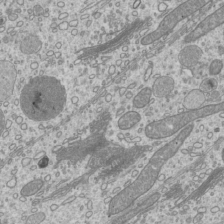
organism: Mouse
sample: Cilia; mouse epididymis